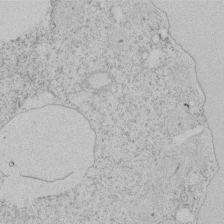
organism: Tetrahymena